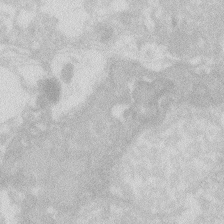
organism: Zebrafish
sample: Macrophage